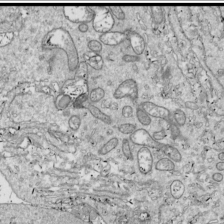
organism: Drosophila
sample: Cell division; meiosis; drosophila spermatocytes